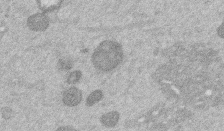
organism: Mouse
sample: Dividing mouse embryo 1 cell stage